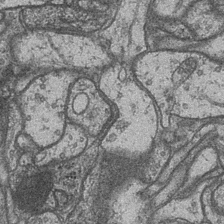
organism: Drosophila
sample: Optic medulla